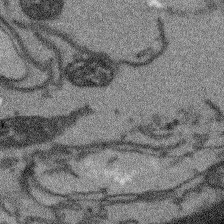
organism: Arabidopsis thaliana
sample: Root tip